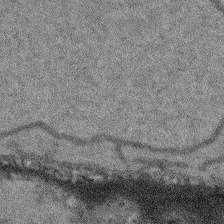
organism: Arabidopsis thaliana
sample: Root tip